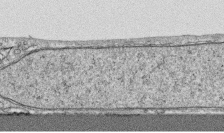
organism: Human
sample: CRL-1474